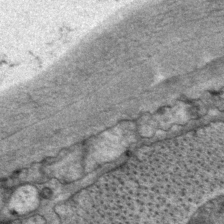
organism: P. pacificus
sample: Pharynx